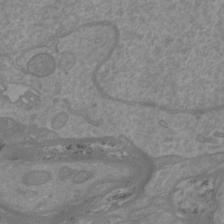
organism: Mouse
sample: Cortical neurons